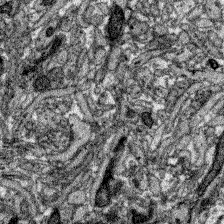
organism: Zebrafish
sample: Larval olfactory bulb